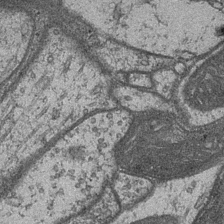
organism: Drosophila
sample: Optic medulla